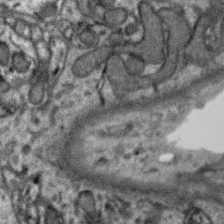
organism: Zebra finch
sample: Brain